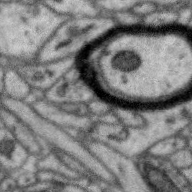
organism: Zebra finch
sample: Brain